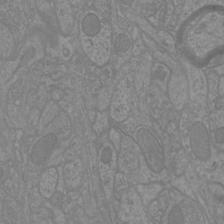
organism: Mouse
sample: Cortical neurons